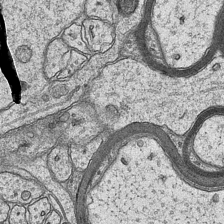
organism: Mouse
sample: CA1 Hippocampus